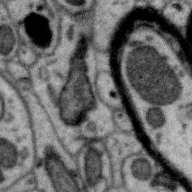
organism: Zebra finch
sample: Brain